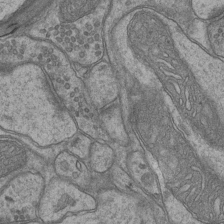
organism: Mouse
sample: CA1 Hippocampus